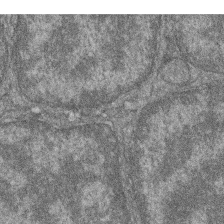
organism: Zebrafish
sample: Cilia; retinal pigment epithelium